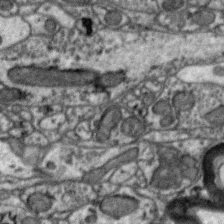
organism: Zebra finch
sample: Brain